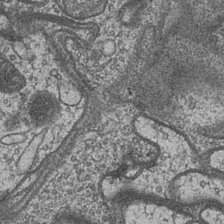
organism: Drosophila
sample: Optic medulla